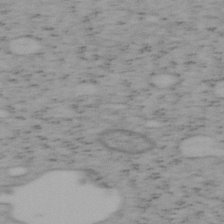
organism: Mouse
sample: OT-I killer T cells with ID8 ovarian cancer cells